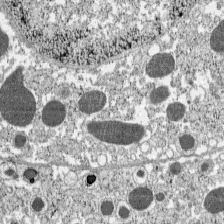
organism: C57BL Mouse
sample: Pancreatic islet